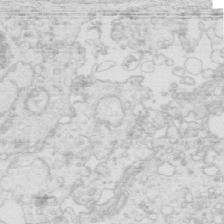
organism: Mouse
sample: Multiciliated cells